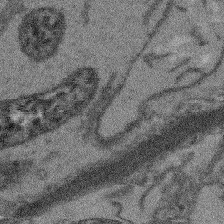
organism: Arabidopsis thaliana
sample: Root tip